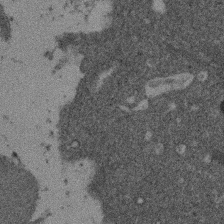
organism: Mouse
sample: Dividing mouse embryo 1 cell stage